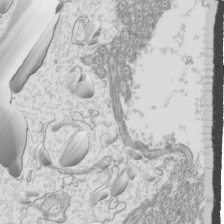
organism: Mouse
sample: Cilia; mouse epididymis